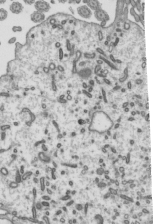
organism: Mouse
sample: Mouse epididymis efferent ductule cilia